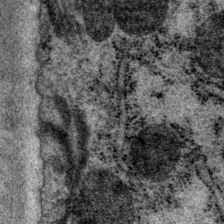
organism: P. pacificus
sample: Pharynx